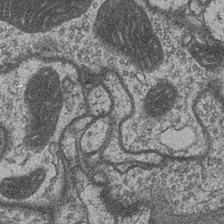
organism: Drosophila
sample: Optic medulla